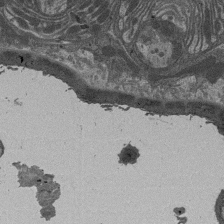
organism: Drosophila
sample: Antenna